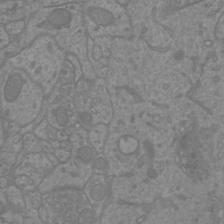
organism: Mouse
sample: Cortical neurons